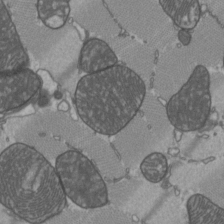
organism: C57BL Mouse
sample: Heart